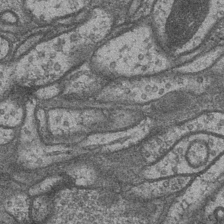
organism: Drosophila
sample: Optic medulla